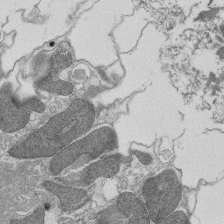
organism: Tetrahymena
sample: Cilia in tetrahymena